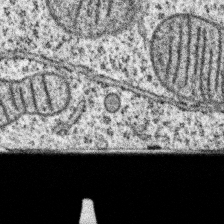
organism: Human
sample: HeLa cells